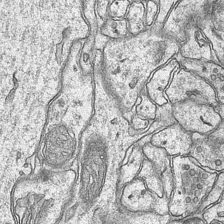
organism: Mouse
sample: CA1 Hippocampus